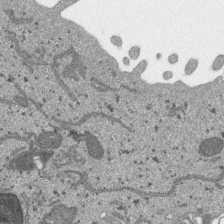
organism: Human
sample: Lung epithelial cells infected with SARS-CoV-2